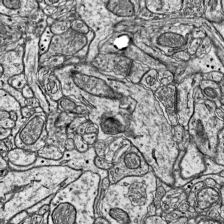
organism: Mouse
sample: Visual Cortex